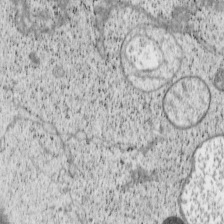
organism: African green monkey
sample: COS-7 cells